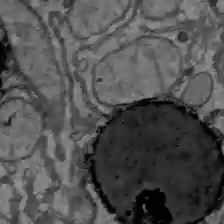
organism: C57BL Mouse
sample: Liver